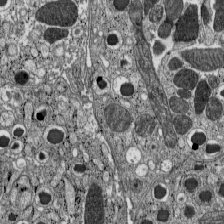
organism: C57BL Mouse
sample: Pancreatic islet